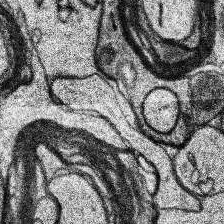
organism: Human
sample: Temporal Lobe